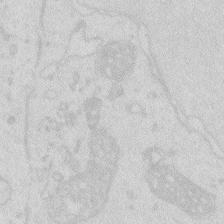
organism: Zebrafish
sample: Macrophage